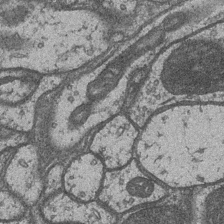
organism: Drosophila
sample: Optic medulla